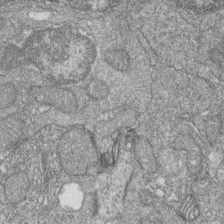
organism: Zebrafish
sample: Cilia; retinal pigment epithelium